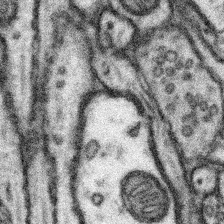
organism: Mouse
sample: Somatosensory cortex neuropil